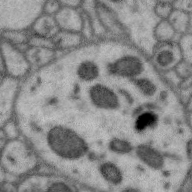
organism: Zebra finch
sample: Brain